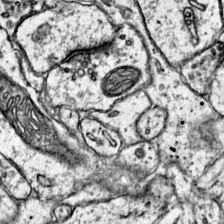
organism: Mouse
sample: Primary visual cortex